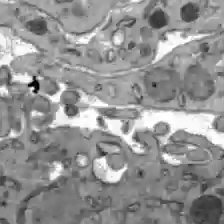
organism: C57BL Mouse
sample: Liver